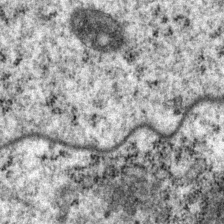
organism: P. pacificus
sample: Pharynx